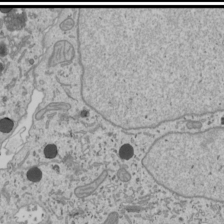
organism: Human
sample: Mitochondria in U2OS cells